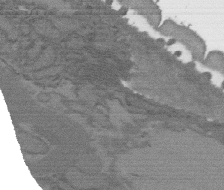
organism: C. elegans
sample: AFD neurons C. elegans